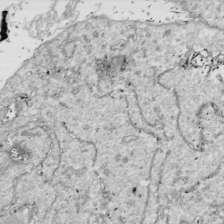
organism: Drosophila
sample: Cell division; meiosis; drosophila spermatocytes